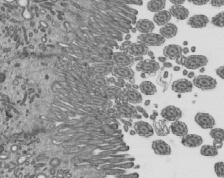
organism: Mouse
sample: Mouse epididymis efferent ductule cilia